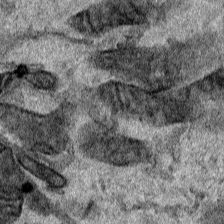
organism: Human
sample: Mitochondria in HCT116 cells